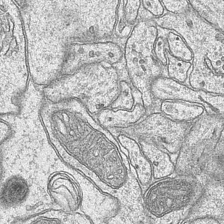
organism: Mouse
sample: CA1 Hippocampus